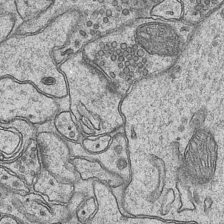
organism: Mouse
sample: CA1 Hippocampus